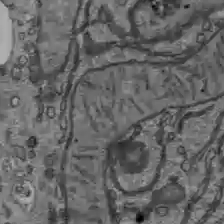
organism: C57BL Mouse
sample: Liver